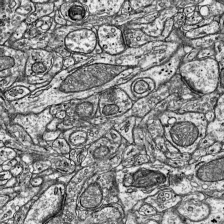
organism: Mouse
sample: Visual Cortex